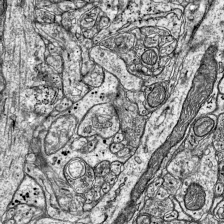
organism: Mouse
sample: Visual Cortex